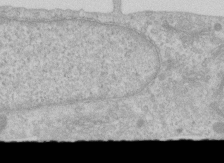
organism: Human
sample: Centriole in RPE cells